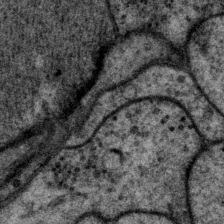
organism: P. pacificus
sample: Pharynx